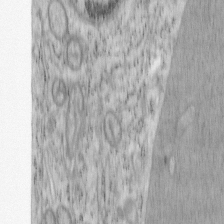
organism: Human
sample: HeLa cells